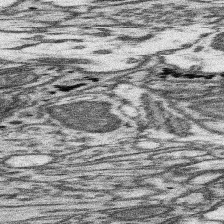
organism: Mouse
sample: Somatosensory cortex neuropil